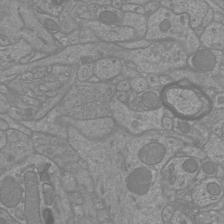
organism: Mouse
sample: Cortical neurons